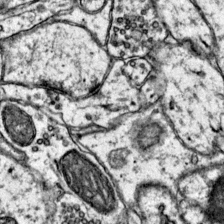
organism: Mouse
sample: Primary visual cortex